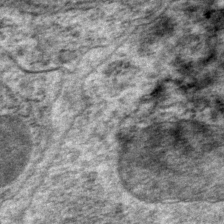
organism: P. pacificus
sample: Pharynx